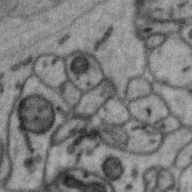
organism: Zebra finch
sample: Brain